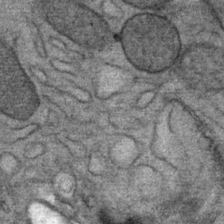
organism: Mouse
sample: Mouse Salivary gland